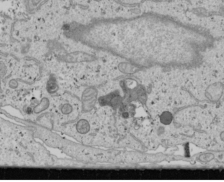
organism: Human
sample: Mitochondria in U2OS cells